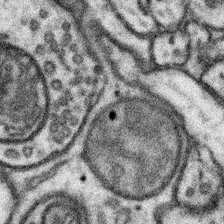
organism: Mouse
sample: Somatosensory cortex neuropil